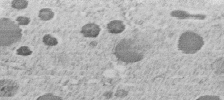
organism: C. elegans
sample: C. elegans embryo early stage